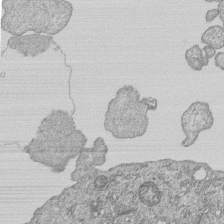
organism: Human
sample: MDA-MB-231 cells